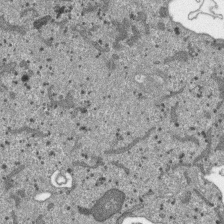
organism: Human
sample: Lung epithelial cells infected with SARS-CoV-2